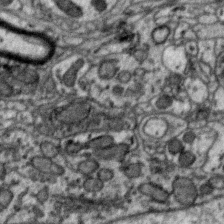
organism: Zebra finch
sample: Brain